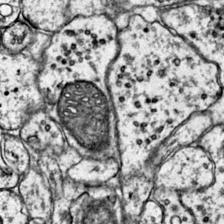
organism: Mouse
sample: Primary visual cortex